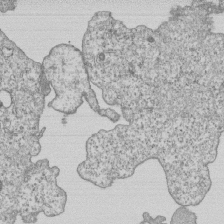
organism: Human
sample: MDA-MB-231 cells